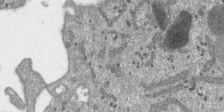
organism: Human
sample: Lung epithelial cells infected with SARS-CoV-2